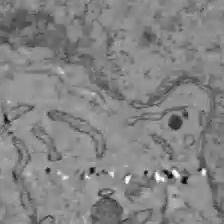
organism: C57BL Mouse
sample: Liver